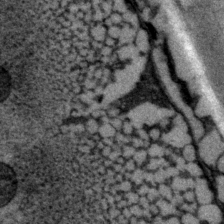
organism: P. pacificus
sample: Pharynx